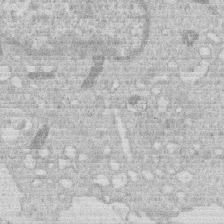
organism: Human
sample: Macrophage cells